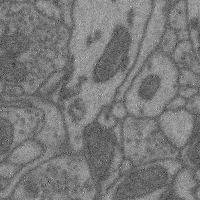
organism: Mouse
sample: Cerebral cortex